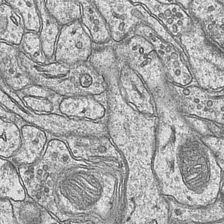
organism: Mouse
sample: CA1 Hippocampus